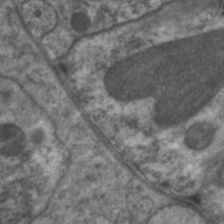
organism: C. elegans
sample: Pharynx